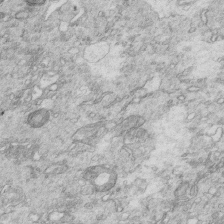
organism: Mouse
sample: Multiciliated cells